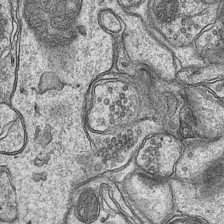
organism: Mouse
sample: CA1 Hippocampus